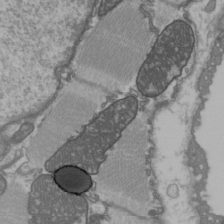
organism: C57BL Mouse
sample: Heart